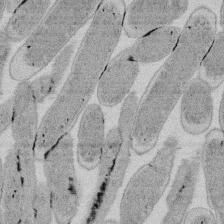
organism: E. coli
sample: Bacterial nucleoid